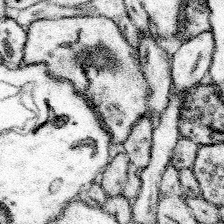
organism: Mouse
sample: Somatosensory cortex neuropil